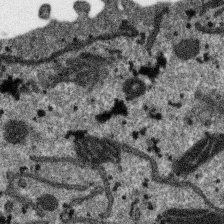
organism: Human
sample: Lung epithelial cells infected with SARS-CoV-2